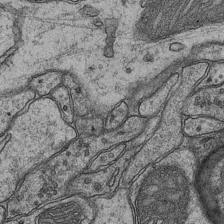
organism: Mouse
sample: CA1 Hippocampus